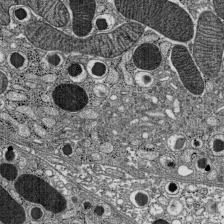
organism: C57BL Mouse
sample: Pancreatic islet